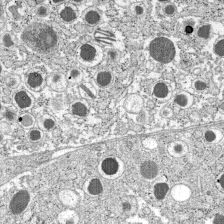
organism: C57BL Mouse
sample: Pancreatic islet